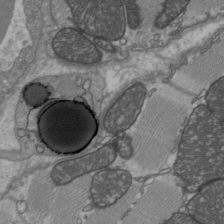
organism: C57BL Mouse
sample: Heart